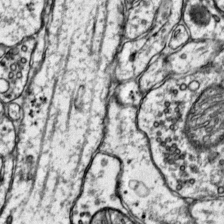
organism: Mouse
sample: Primary visual cortex